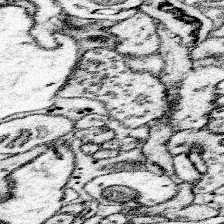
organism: Mouse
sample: Somatosensory cortex neuropil